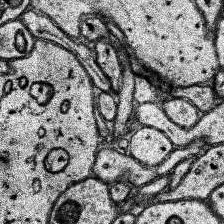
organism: Human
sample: Temporal Lobe